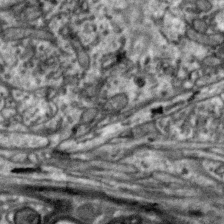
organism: Zebra finch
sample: Brain